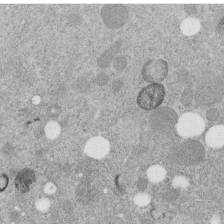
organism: C. elegans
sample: C. elegans embryo early stage